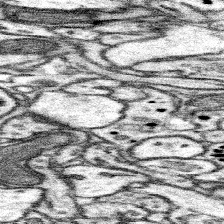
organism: Mouse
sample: Somatosensory cortex neuropil